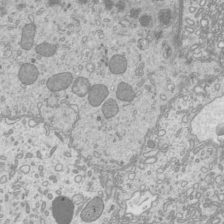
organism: Mouse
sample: Cilia; mouse epididymis